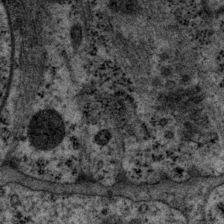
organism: P. pacificus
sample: Pharynx